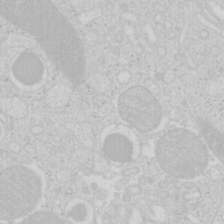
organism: Mouse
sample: Pancreas